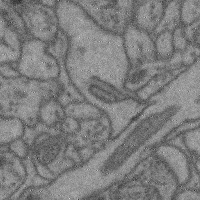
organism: Mouse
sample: Cerebral cortex